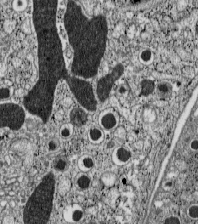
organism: C57BL Mouse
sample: Pancreatic islet